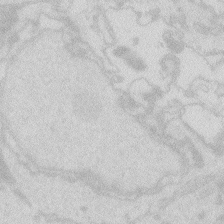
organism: Zebrafish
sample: Macrophage